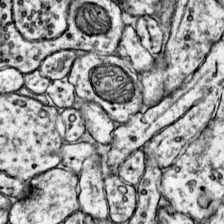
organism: Mouse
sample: Primary visual cortex